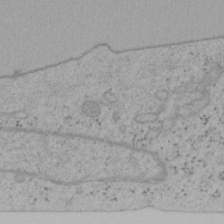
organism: Human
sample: HeLa cells